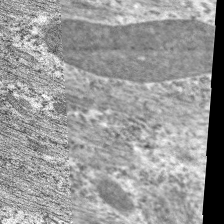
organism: C. elegans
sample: Pharynx